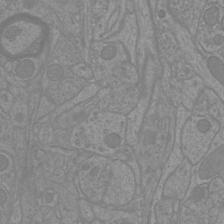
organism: Mouse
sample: Cortical neurons